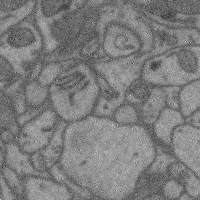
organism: Mouse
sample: Cerebral cortex